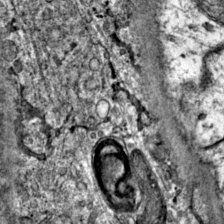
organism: Mouse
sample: Primary visual cortex